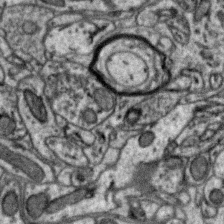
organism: Zebra finch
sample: Brain